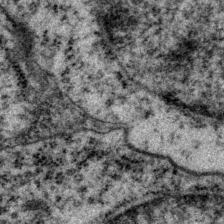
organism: P. pacificus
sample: Pharynx